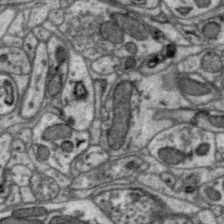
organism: Zebra finch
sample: Brain